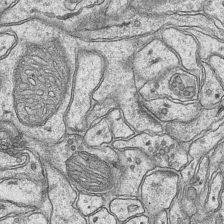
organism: Mouse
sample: CA1 Hippocampus